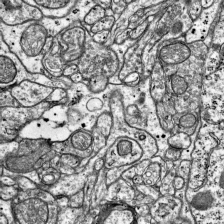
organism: Mouse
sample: Visual Cortex